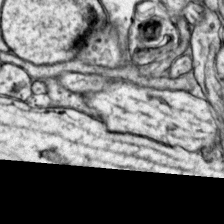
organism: Mouse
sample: Primary visual cortex